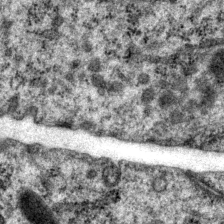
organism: P. pacificus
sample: Pharynx